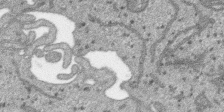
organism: Human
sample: Lung epithelial cells infected with SARS-CoV-2